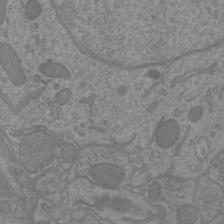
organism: Mouse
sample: Cortical neurons